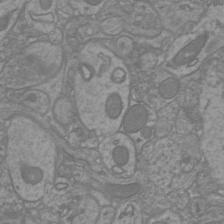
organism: Mouse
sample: Cortical neurons